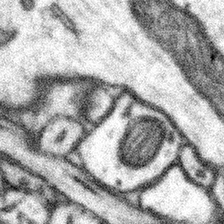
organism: Mouse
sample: Somatosensory cortex neuropil